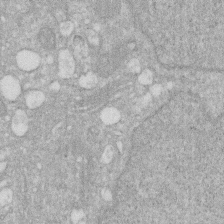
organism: Human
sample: HIV infected U937 cells